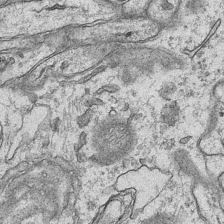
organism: Mouse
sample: CA1 Hippocampus